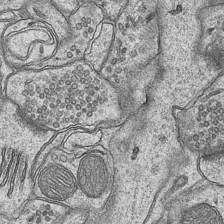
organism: Mouse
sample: CA1 Hippocampus